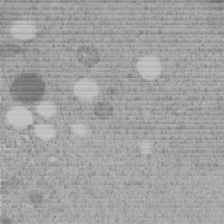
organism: C. elegans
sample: C. elegans embryo early stage